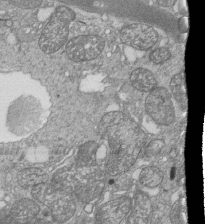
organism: Tetrahymena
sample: Cilia in tetrahymena